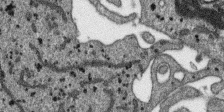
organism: Human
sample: Lung epithelial cells infected with SARS-CoV-2